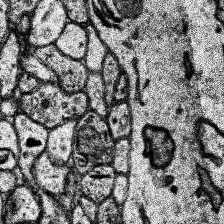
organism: Human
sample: Temporal Lobe